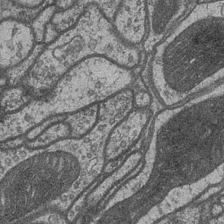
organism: Drosophila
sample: Optic medulla